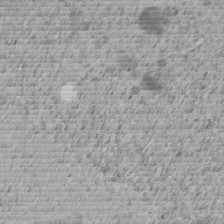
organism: C. elegans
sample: C. elegans embryo early stage